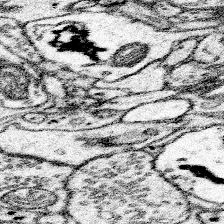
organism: Mouse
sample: Somatosensory cortex neuropil